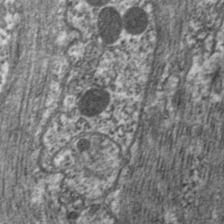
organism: C. elegans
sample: Pharynx